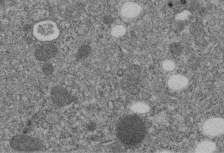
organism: C. elegans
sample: C. elegans embryo early stage